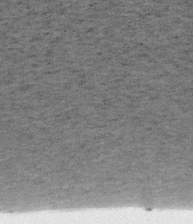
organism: Mouse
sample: OT-I killer T cells with ID8 ovarian cancer cells